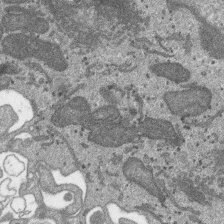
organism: Human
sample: Lung epithelial cells infected with SARS-CoV-2